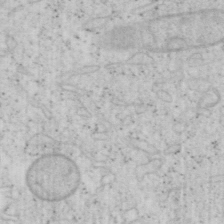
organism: Human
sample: HeLa cells